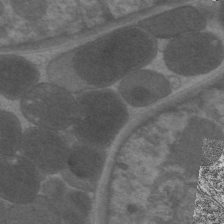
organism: C. elegans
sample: Pharynx